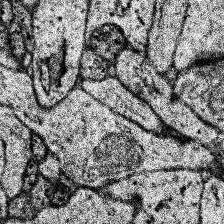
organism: Human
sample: Temporal Lobe